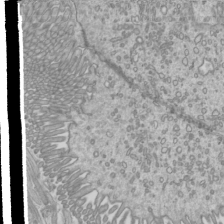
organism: Mouse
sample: Cilia; mouse epididymis